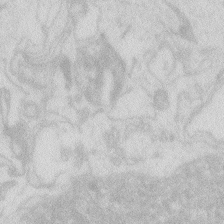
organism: Zebrafish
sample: Macrophage